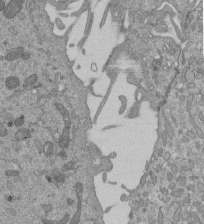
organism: Mouse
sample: ED-1 cell nuclei; centrioles